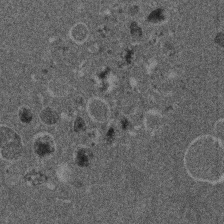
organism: Mouse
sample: Dividing mouse embryo 1 cell stage